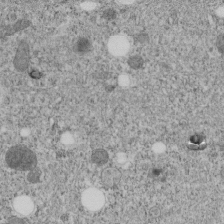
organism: C. elegans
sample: C. elegans embryo early stage